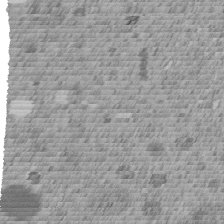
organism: C. elegans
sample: C. elegans embryo early stage